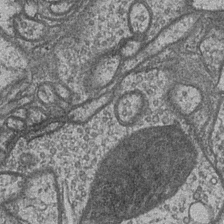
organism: Drosophila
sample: Optic medulla